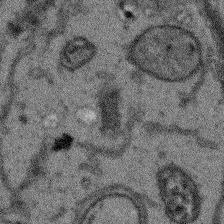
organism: Arabidopsis thaliana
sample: Root tip